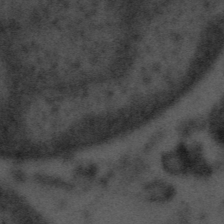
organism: Tuwongella immobilis